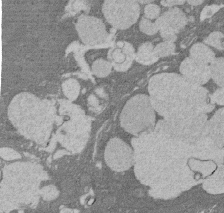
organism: Rat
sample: Salivary granule